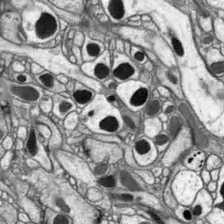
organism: Drosophila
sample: Optic lobe